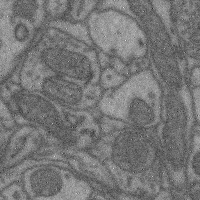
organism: Mouse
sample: Cerebral cortex